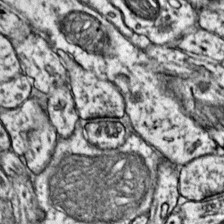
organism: Mouse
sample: Primary visual cortex